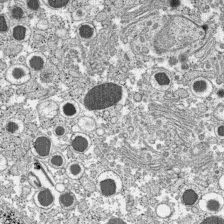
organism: C57BL Mouse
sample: Pancreatic islet